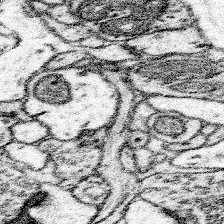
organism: Mouse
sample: Somatosensory cortex neuropil